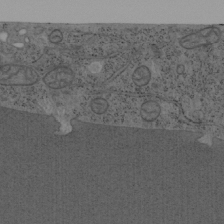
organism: Human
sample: HeLa cells